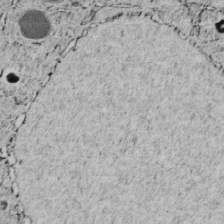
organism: C. elegans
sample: C. elegans embryo early stage